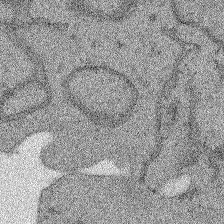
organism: Human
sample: HeLa cells